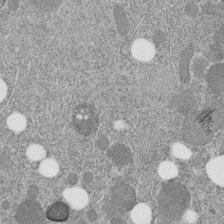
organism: C. elegans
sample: C. elegans embryo early stage